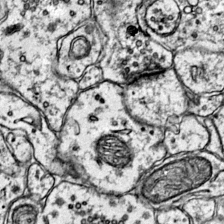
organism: Mouse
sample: Primary visual cortex